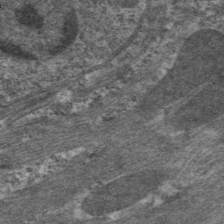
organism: C. elegans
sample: Pharynx